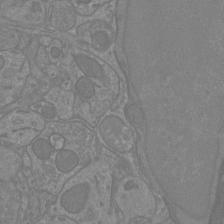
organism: Mouse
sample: Cortical neurons